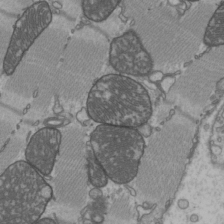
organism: C57BL Mouse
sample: Heart